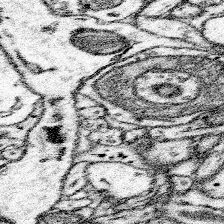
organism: Mouse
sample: Somatosensory cortex neuropil